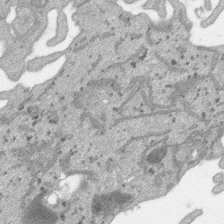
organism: Human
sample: Lung epithelial cells infected with SARS-CoV-2